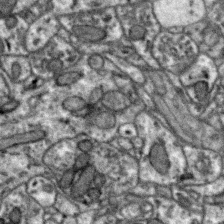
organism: Zebra finch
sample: Brain